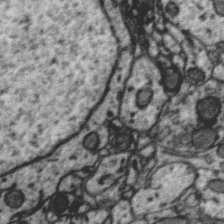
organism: Zebra finch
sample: Brain